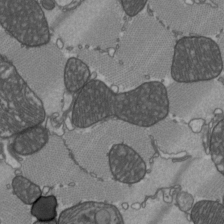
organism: C57BL Mouse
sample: Heart